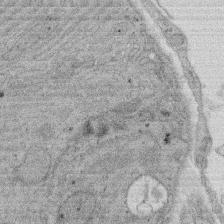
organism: Rat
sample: Salivary granule